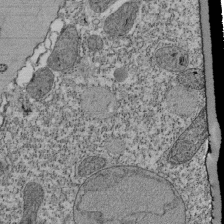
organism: Tetrahymena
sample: Cilia in tetrahymena